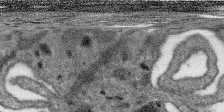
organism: Human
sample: Lung epithelial cells infected with SARS-CoV-2